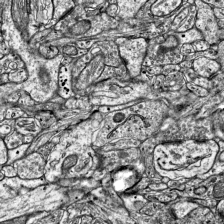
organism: Mouse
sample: Visual Cortex